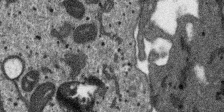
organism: Human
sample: Lung epithelial cells infected with SARS-CoV-2